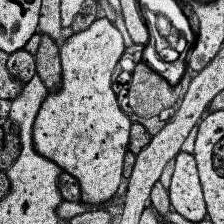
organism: Human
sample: Temporal Lobe